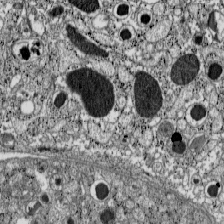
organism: C57BL Mouse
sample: Pancreatic islet